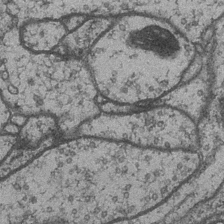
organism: Drosophila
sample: Optic medulla